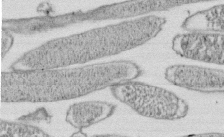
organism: E. coli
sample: Bacterial nucleoid